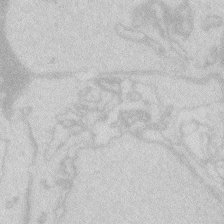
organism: Zebrafish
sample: Macrophage